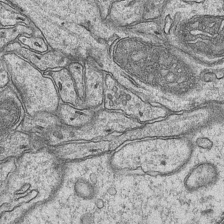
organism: Mouse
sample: CA1 Hippocampus